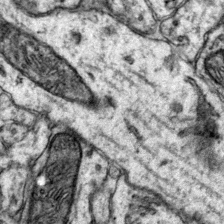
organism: Mouse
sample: Primary visual cortex